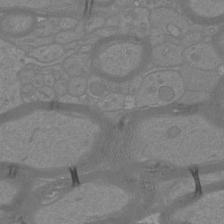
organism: Mouse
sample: Cortical neurons